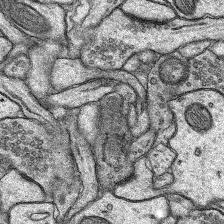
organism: Rat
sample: Hippocampus